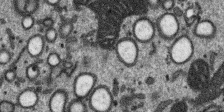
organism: Human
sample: Lung epithelial cells infected with SARS-CoV-2